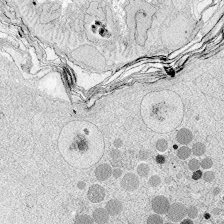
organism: Zebrafish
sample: Whole-Brain